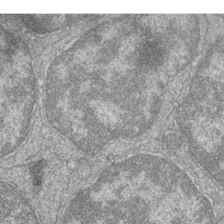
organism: Zebrafish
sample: Cilia; retinal pigment epithelium